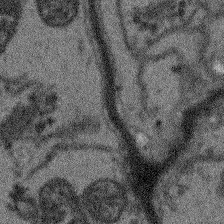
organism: Arabidopsis thaliana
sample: Root tip